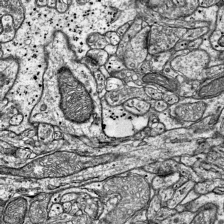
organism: Mouse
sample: Visual Cortex